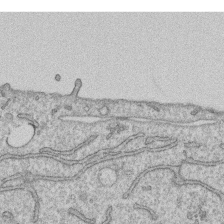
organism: Human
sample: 1205lu cells